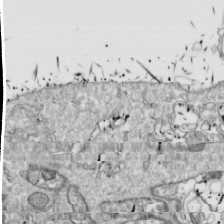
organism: Drosophila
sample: Cell division; meiosis; drosophila spermatocytes